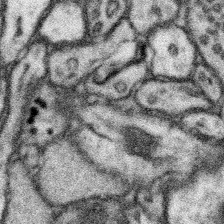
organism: Mouse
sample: Somatosensory cortex neuropil